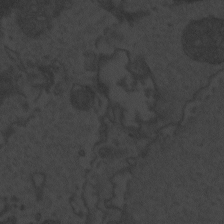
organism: Zebrafish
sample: Macrophage infected with Toxoplasma gondii